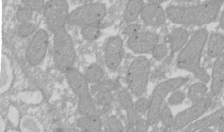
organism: Xenopus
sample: Cilia; centrioles in frog embryo cells